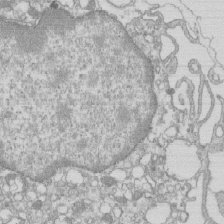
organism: Mouse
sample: Macrophages